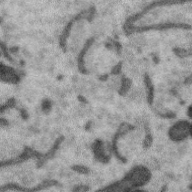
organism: Zebra finch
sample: Brain